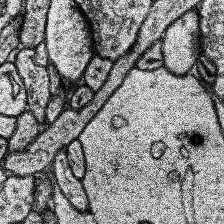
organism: Human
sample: Temporal Lobe